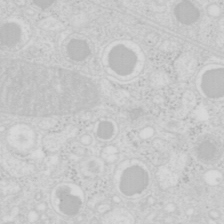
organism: Mouse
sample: Pancreas